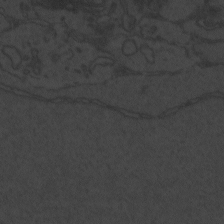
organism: Zebrafish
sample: Macrophage infected with Toxoplasma gondii